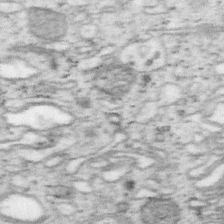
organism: Mouse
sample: OT-I killer T cells with ID8 ovarian cancer cells